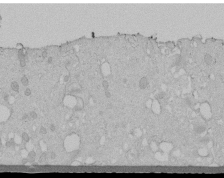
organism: Human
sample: Melanocyte Keratinocyte synapse skin construct